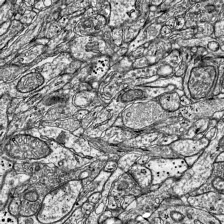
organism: Mouse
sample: Visual Cortex